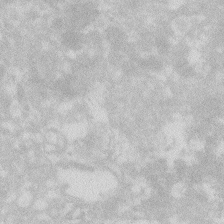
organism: Zebrafish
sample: Macrophage